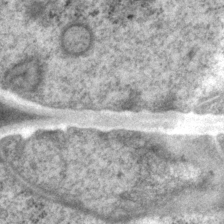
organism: P. pacificus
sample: Pharynx